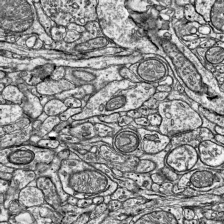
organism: Mouse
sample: Visual Cortex